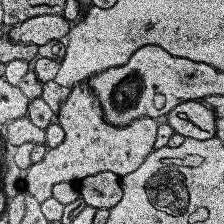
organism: Human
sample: Temporal Lobe